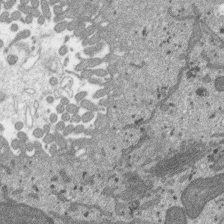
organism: Human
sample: Lung epithelial cells infected with SARS-CoV-2